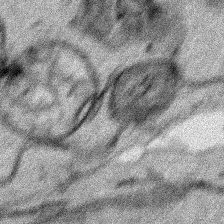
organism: Human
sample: Mitochondria in HCT116 cells